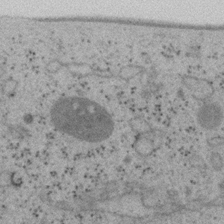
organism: Human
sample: HeLa cells